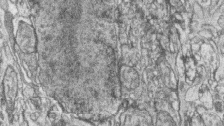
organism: Zebrafish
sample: synaptic ribbons in rod cells and cone cells